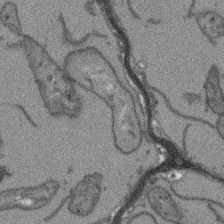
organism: Arabidopsis thaliana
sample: Root tip